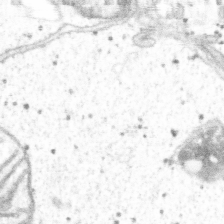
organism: Human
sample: HeLa cells